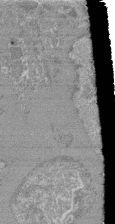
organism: Mouse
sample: Glomerulus